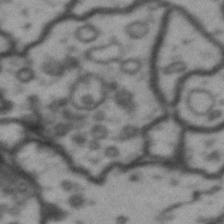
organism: Drosophila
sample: Brain